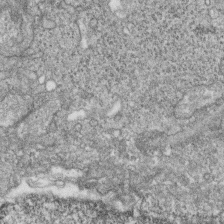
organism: Zebrafish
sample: Cilia; retinal pigment epithelium